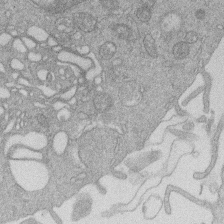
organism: Human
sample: Macrophage cells